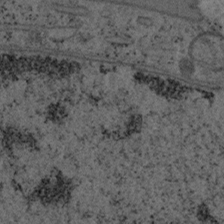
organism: Human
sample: HeLa cells